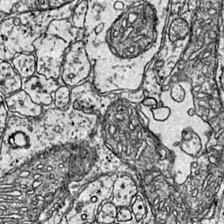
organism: Mouse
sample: Primary visual cortex